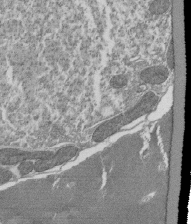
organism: Tetrahymena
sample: Cilia in tetrahymena